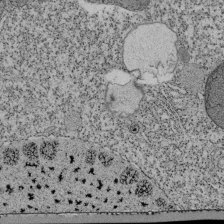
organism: Tetrahymena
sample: Cilia in tetrahymena